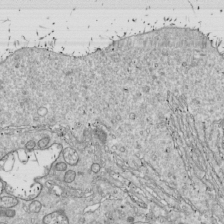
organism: Drosophila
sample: Cell division; meiosis; drosophila spermatocytes